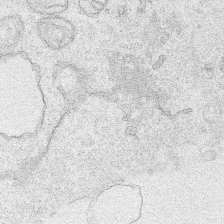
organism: Human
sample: Mitochondria in HCT116 cells